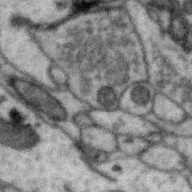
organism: Zebra finch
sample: Brain